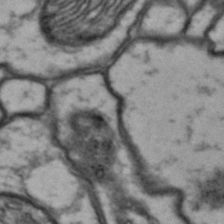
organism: Drosophila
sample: Brain